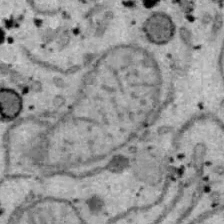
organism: Mouse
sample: Liver from an obese (ob/ob) mouse